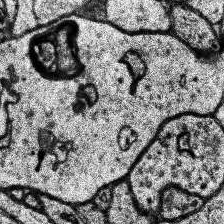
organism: Human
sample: Temporal Lobe